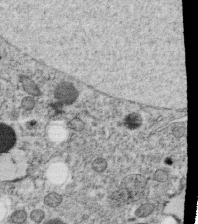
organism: C. elegans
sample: C. elegans oocyte; sperm cells